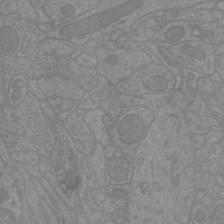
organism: Mouse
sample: Cortical neurons